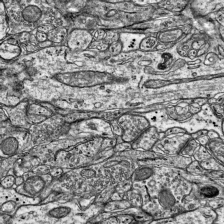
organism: Mouse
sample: Visual Cortex